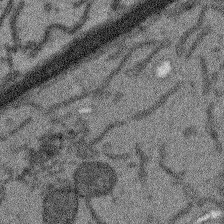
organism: Arabidopsis thaliana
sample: Root tip